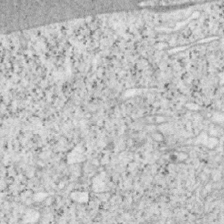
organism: Mouse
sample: OT-I killer T cells with ID8 ovarian cancer cells